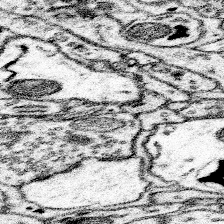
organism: Mouse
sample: Somatosensory cortex neuropil